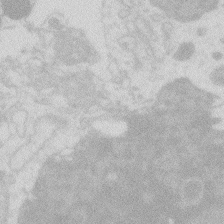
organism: Zebrafish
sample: Macrophage